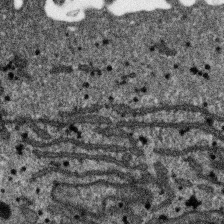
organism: Human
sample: Lung epithelial cells infected with SARS-CoV-2